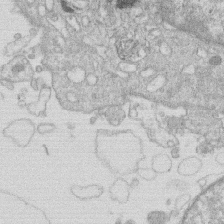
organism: Human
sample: Macrophage cells